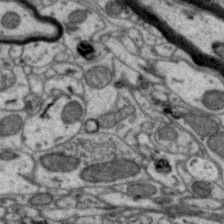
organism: Zebra finch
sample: Brain